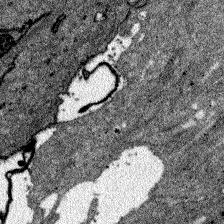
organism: Zebrafish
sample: Larval olfactory bulb